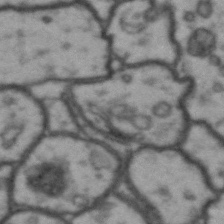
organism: Drosophila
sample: Brain